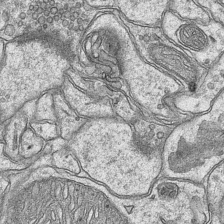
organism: Mouse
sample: CA1 Hippocampus